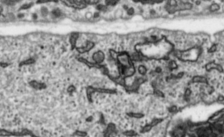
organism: Toxoplasma gondii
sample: Parasites in a vacuole inside a host cell